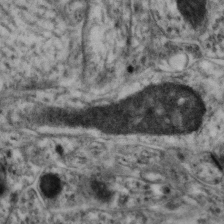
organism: Mouse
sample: Neocortex